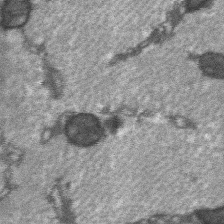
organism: C57BL Mouse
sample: Soleus